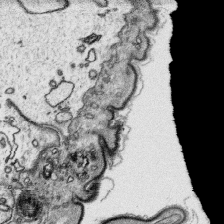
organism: Platynereis dumerilii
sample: Parapodia